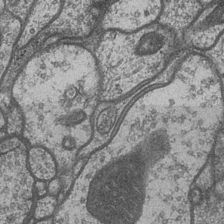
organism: Drosophila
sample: Optic medulla